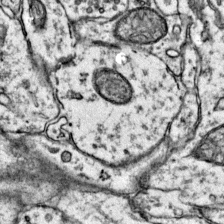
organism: Mouse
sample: Primary visual cortex